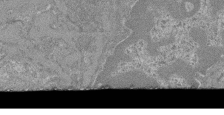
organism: Mouse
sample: Glomerulus